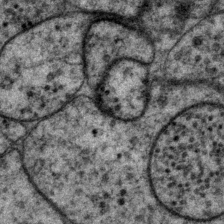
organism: P. pacificus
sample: Pharynx